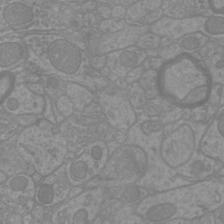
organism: Mouse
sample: Cortical neurons